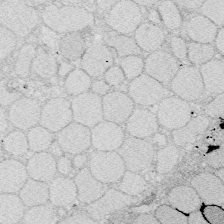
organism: Zebrafish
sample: Whole-Brain